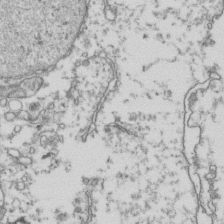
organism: Human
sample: Activated Jurkat CD4+ T cells